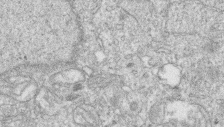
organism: Human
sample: HeLa cell HIV synapse